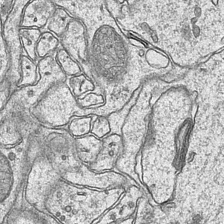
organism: Mouse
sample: CA1 Hippocampus